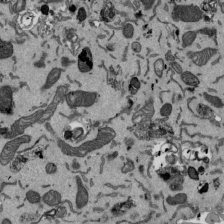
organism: Mouse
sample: ED-1 cell nuclei; centrioles